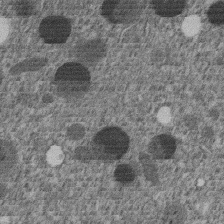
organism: C. elegans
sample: C. elegans embryo early stage